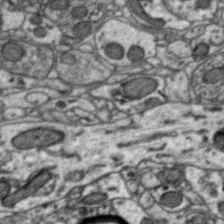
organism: Zebra finch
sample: Brain